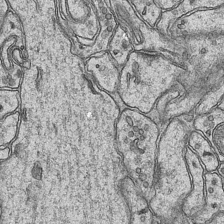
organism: Mouse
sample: CA1 Hippocampus